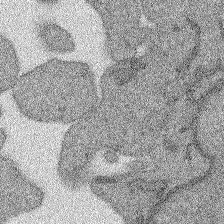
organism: Human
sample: HeLa cells